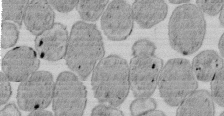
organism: E. coli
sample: Bacterial nucleoid